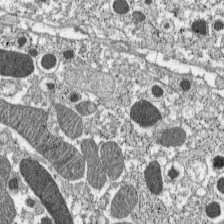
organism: C57BL Mouse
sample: Pancreatic islet